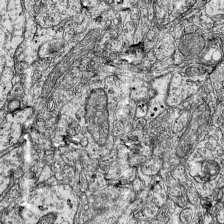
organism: Mouse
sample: Visual Cortex